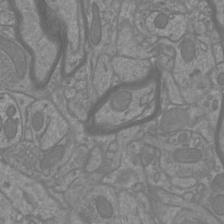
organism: Mouse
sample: Cortical neurons